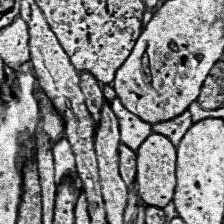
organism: Human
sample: Temporal Lobe